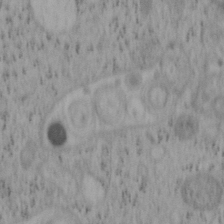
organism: Mouse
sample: OT-I killer T cells with ID8 ovarian cancer cells